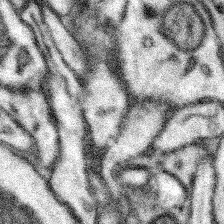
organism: Mouse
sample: Somatosensory cortex neuropil